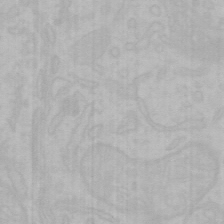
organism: Mouse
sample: Choroid plexus